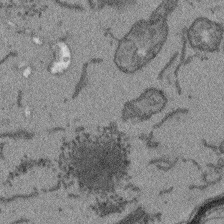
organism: Arabidopsis thaliana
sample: Root tip